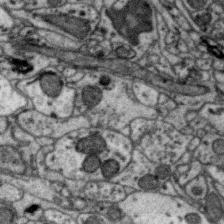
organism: Zebra finch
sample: Brain